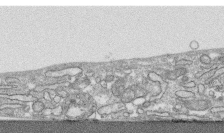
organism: Human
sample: CRL-1474